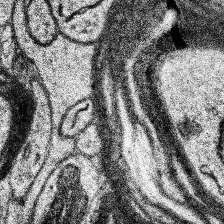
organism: Human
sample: Temporal Lobe